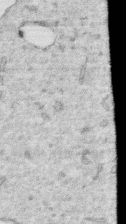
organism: Human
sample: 1205lu cells